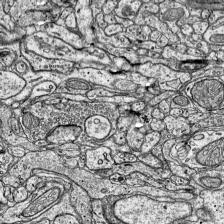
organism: Mouse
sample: Visual Cortex